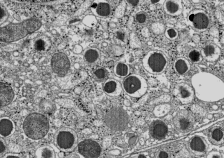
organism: C57BL Mouse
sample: Pancreatic islet